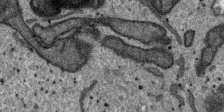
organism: Human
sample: Lung epithelial cells, uninfected (mock) control